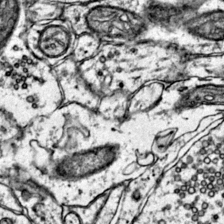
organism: Mouse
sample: Primary visual cortex